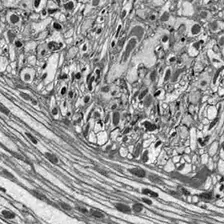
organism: Drosophila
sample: Optic lobe